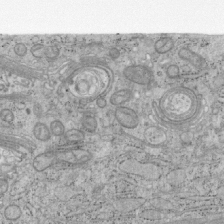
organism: Human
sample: HeLa cells